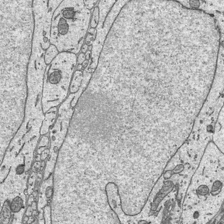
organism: Mouse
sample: Suprachiasmatic nucleus